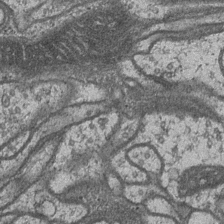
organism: Drosophila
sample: Optic medulla